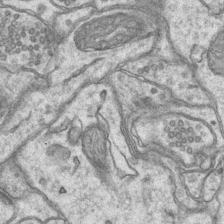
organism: Mouse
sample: CA1 Hippocampus